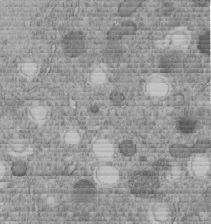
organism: C. elegans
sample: C. elegans embryo early stage